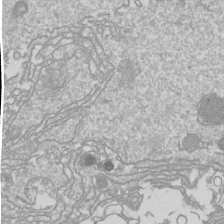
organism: Drosophila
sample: Cell division; meiosis; drosophila spermatocytes